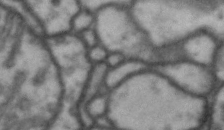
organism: Drosophila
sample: Brain